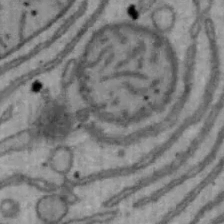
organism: Mouse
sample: Liver